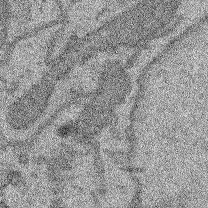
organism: Human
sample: HeLa cells